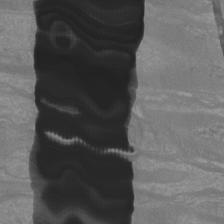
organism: Mouse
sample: Cortical neurons